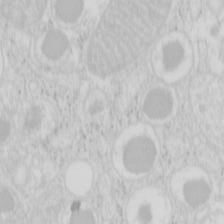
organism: Mouse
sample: Pancreas